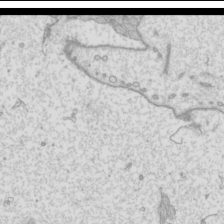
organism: Mouse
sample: Cilia; mouse epididymis